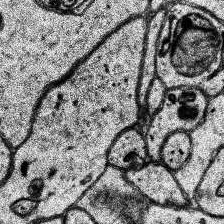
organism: Human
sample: Temporal Lobe